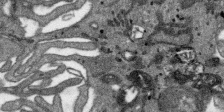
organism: Human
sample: Lung epithelial cells, uninfected (mock) control